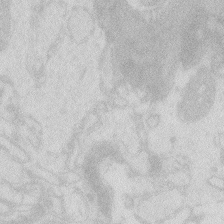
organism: Zebrafish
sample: Macrophage